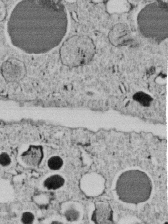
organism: C. elegans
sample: C. elegans embryo early stage